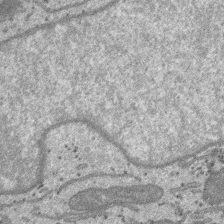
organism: Human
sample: Lung epithelial cells infected with SARS-CoV-2